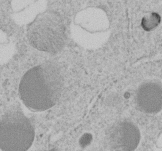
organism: C. elegans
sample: C. elegans embryo early stage